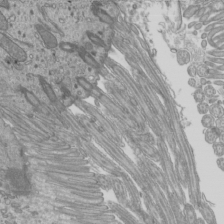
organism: Mouse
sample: Cilia; mouse epididymis